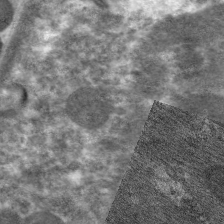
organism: C. elegans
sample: Pharynx